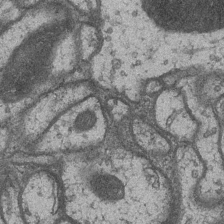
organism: Drosophila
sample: Optic medulla